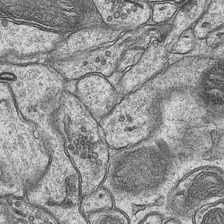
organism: Mouse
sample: CA1 Hippocampus